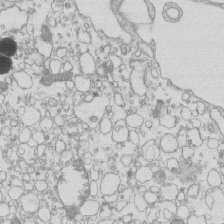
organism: Mouse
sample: Macrophages